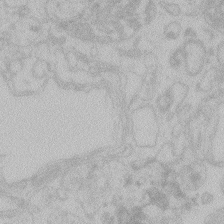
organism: Zebrafish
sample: Macrophage infected with Toxoplasma gondii